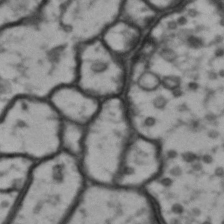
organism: Drosophila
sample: Brain